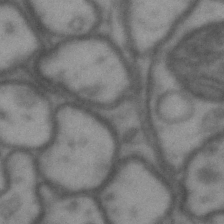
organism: Drosophila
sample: Brain